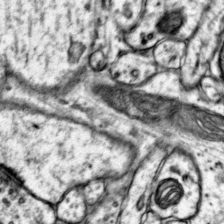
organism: Mouse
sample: Primary visual cortex